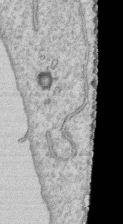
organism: Human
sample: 1205lu cells